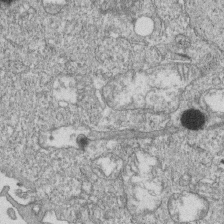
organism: Human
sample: HeLa cell HIV synapse